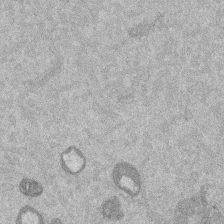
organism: Mouse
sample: Dividing mouse embryo 1 cell stage